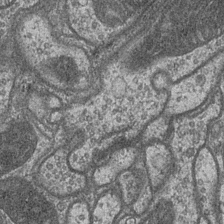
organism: Drosophila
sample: Optic medulla